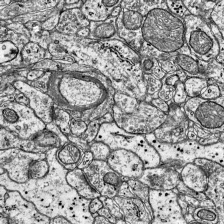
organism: Mouse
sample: Visual Cortex